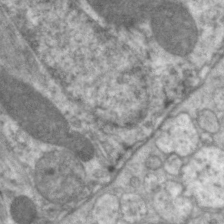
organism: C. elegans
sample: Pharynx